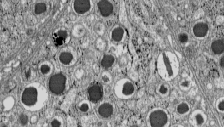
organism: C57BL Mouse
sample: Pancreatic islet